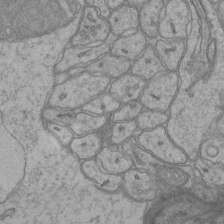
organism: Mouse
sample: CA1 Hippocampus